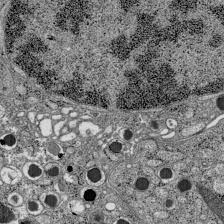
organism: C57BL Mouse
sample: Pancreatic islet